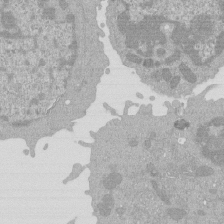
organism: Mouse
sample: Activated Pmel transgenic CD8+ T Cells